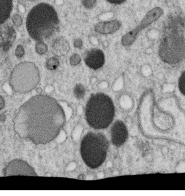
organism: C. elegans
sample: C. elegans oocyte; sperm cells